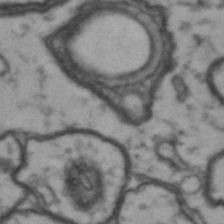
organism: Drosophila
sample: Brain